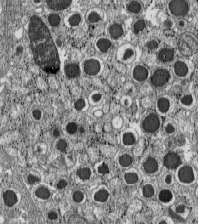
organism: C57BL Mouse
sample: Pancreatic islet